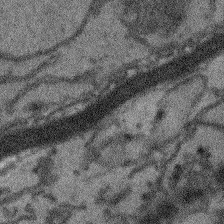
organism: Arabidopsis thaliana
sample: Root tip